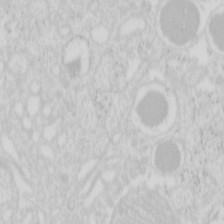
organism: Mouse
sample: Pancreas